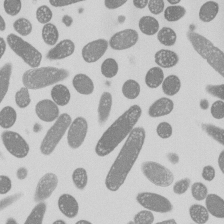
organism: E. coli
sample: Bacterial nucleoid